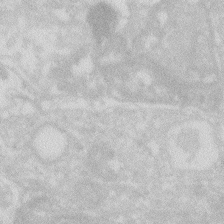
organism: Zebrafish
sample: Macrophage